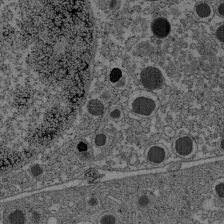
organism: C57BL Mouse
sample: Pancreatic islet